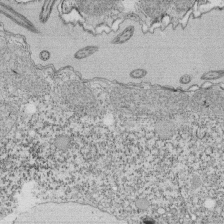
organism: Tetrahymena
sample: Cilia in tetrahymena